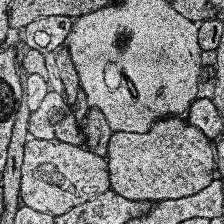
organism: Human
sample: Temporal Lobe